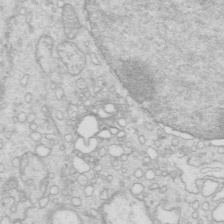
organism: Mouse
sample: Multiciliated cells